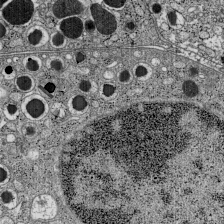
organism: C57BL Mouse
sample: Pancreatic islet